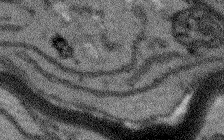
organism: Arabidopsis thaliana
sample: Root tip